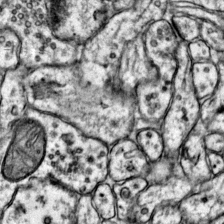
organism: Mouse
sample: Primary visual cortex